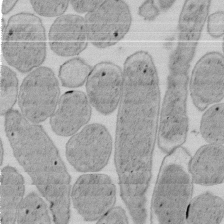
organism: E. coli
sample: Bacterial nucleoid